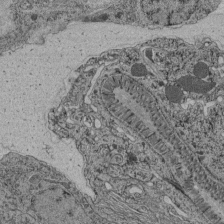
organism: C. elegans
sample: C. elegans pharynx